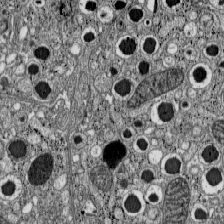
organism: C57BL Mouse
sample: Pancreatic islet